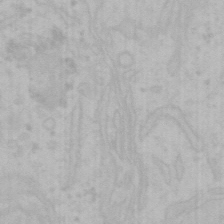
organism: Mouse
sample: Choroid plexus